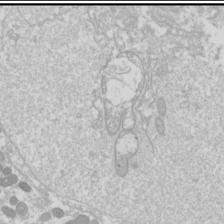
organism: Drosophila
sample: Cell division; meiosis; drosophila spermatocytes